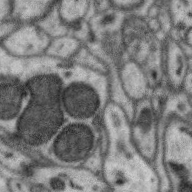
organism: Zebra finch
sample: Brain